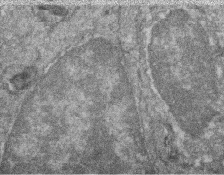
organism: Zebrafish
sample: Cilia; retinal pigment epithelium